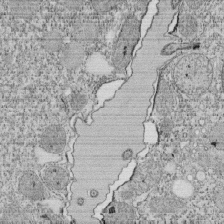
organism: Tetrahymena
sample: Cilia in tetrahymena